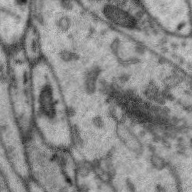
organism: Zebra finch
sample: Brain